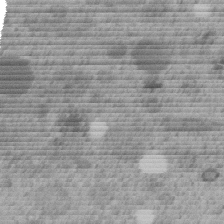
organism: C. elegans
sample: C. elegans embryo early stage